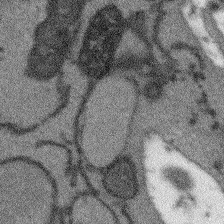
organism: Arabidopsis thaliana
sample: Root tip